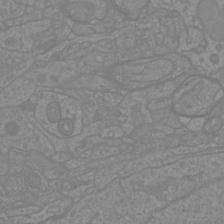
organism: Mouse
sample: Cortical neurons